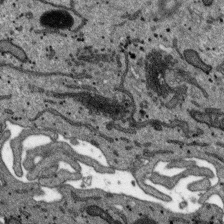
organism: Human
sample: Lung epithelial cells, uninfected (mock) control